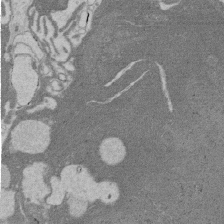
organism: Rat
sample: Salivary granule